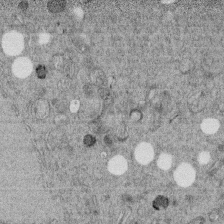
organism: C. elegans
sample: C. elegans embryo early stage